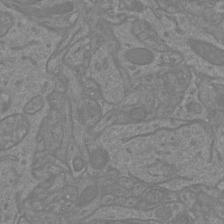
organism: Mouse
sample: Cortical neurons